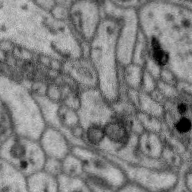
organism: Zebra finch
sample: Brain